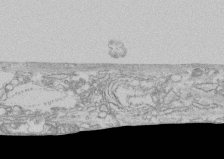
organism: Human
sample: CRL-1474